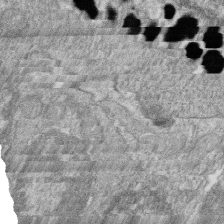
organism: Zebrafish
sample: Cilia; retinal pigment epithelium